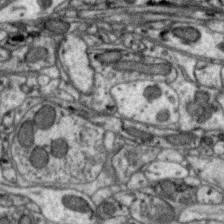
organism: Zebra finch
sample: Brain